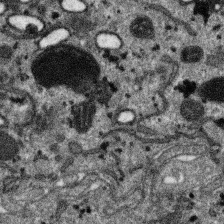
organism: Human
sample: Lung epithelial cells infected with SARS-CoV-2